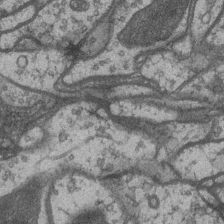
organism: Drosophila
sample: Optic medulla